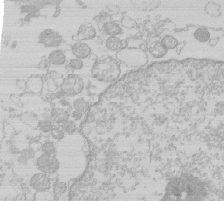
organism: Human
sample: Macrophage cells